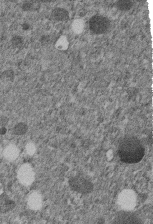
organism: C. elegans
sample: C. elegans embryo early stage